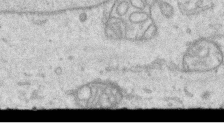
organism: Human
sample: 1205lu cells